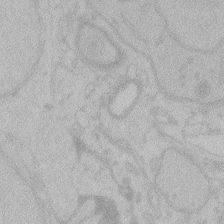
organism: Zebrafish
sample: Macrophage infected with Toxoplasma gondii